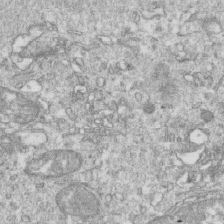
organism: Mouse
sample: Activated OT-1 CD8+ T cells